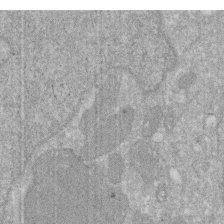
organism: Human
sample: HIV infected U937 cells